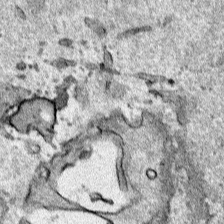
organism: Human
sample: Mitochondria in HCT116 cells